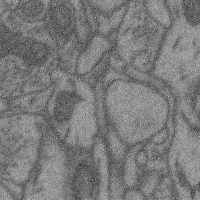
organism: Mouse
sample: Cerebral cortex